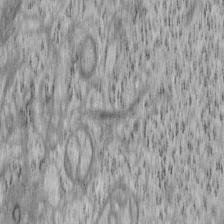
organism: Human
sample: HeLa cells